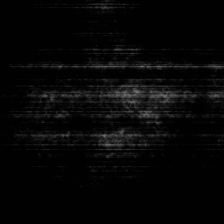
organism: Human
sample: MDA-MB-231 cells